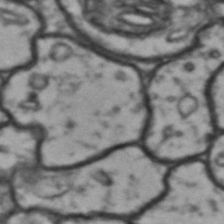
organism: Drosophila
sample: Brain